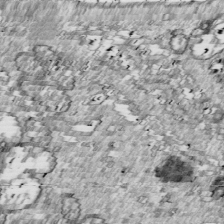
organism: Drosophila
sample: Cell division; meiosis; drosophila spermatocytes